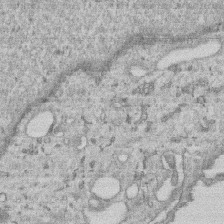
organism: Human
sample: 1205lu cells